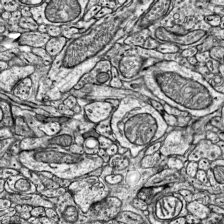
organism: Mouse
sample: Visual Cortex